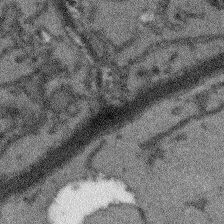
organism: Arabidopsis thaliana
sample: Root tip